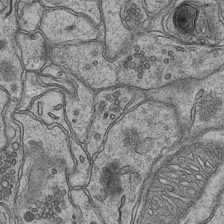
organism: Mouse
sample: CA1 Hippocampus